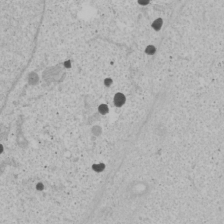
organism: Human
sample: Mitochondria in U2OS cells